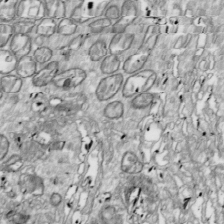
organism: Drosophila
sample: Cell division; meiosis; drosophila spermatocytes